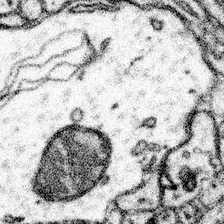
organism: Mouse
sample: Somatosensory cortex neuropil